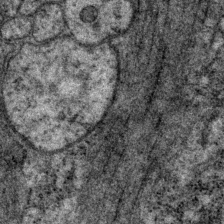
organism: P. pacificus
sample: Pharynx